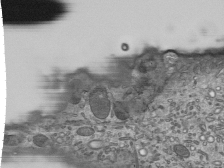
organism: Mouse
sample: Mouse epididymis efferent ductule cilia